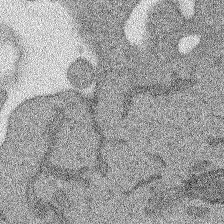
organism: Human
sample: HeLa cells